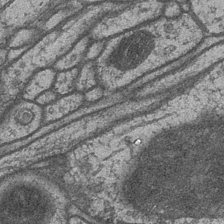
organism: Drosophila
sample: Optic medulla